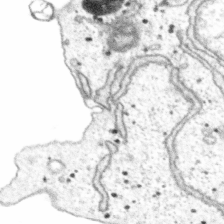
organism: Human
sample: HeLa cells